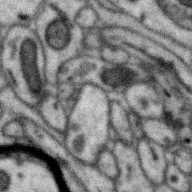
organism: Zebra finch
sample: Brain